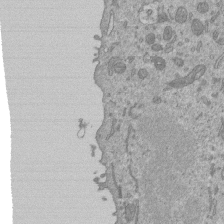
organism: Mouse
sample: ED-1 cell nuclei; centrioles